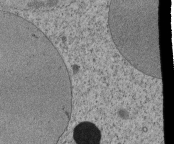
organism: Tetrahymena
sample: Cilia in tetrahymena